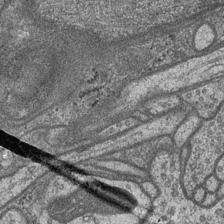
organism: Drosophila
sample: Optic medulla